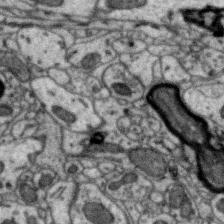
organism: Zebra finch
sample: Brain